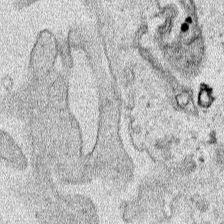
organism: Human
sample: Mitochondria in HCT116 cells